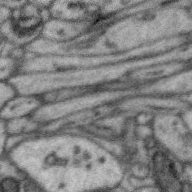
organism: Zebra finch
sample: Brain